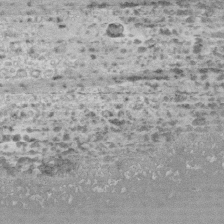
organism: Human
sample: CRL-1474